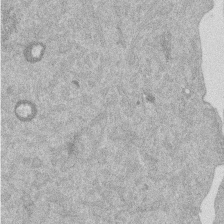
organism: Mouse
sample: Dividing mouse embryo 1 cell stage